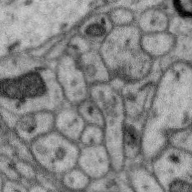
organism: Zebra finch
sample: Brain